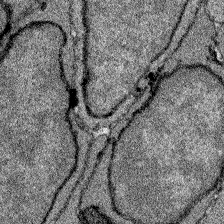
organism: Zebrafish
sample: Larval olfactory bulb